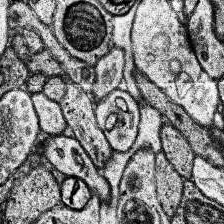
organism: Human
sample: Temporal Lobe